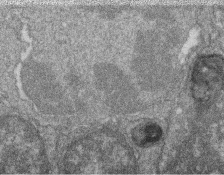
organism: Zebrafish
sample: Cilia; retinal pigment epithelium